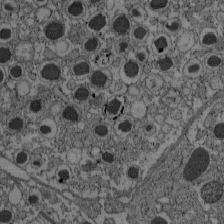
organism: C57BL Mouse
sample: Pancreatic islet